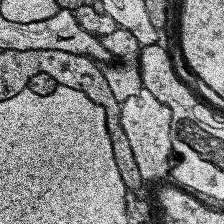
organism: Human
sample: Temporal Lobe